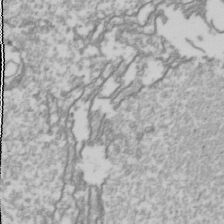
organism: Drosophila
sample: Cell division; meiosis; drosophila spermatocytes